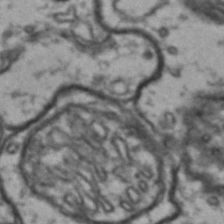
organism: Drosophila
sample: Brain